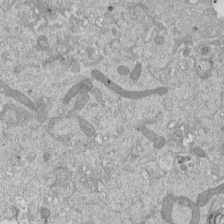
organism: Mouse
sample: ED-1 cell nuclei; centrioles